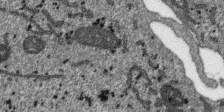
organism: Human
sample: Lung epithelial cells infected with SARS-CoV-2